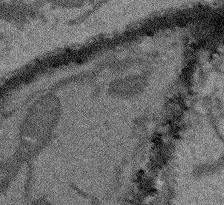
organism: Arabidopsis thaliana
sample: Root tip